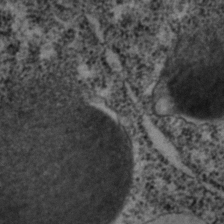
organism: C. elegans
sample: C. elegans embryo